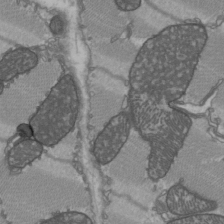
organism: C57BL Mouse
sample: Heart